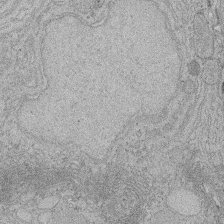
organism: Rat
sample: Salivary granule